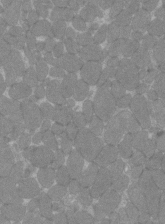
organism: C57BL Mouse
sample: Tibialis anterior muscle cell